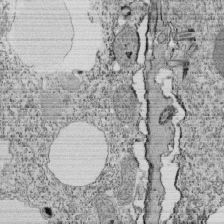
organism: Tetrahymena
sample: Cilia in tetrahymena